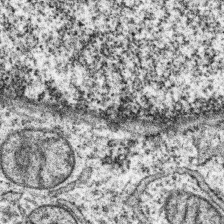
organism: Human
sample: HeLa cells